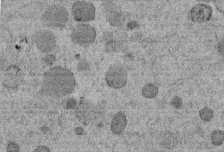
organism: C. elegans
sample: C. elegans embryo early stage